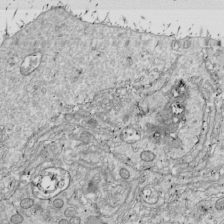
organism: Drosophila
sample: Cell division; meiosis; drosophila spermatocytes